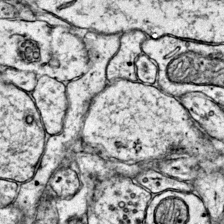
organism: Mouse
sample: Primary visual cortex